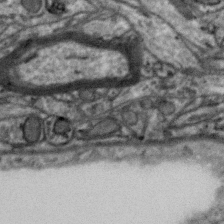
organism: Zebra finch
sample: Brain